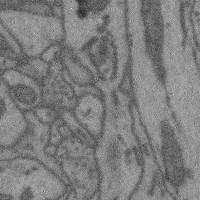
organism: Mouse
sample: Cerebral cortex